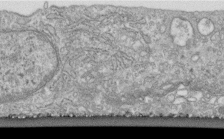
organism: Human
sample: Centriole in fibroblast cells